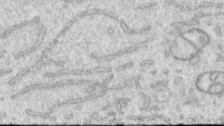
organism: Human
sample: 1205lu cells